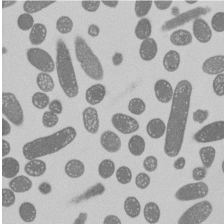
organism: E. coli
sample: Bacterial nucleoid